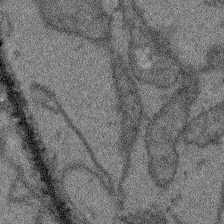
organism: Arabidopsis thaliana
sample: Root tip